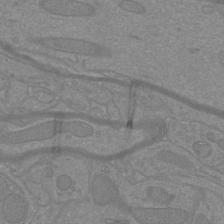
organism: Mouse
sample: Cortical neurons